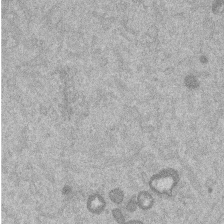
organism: Mouse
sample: Dividing mouse embryo 1 cell stage